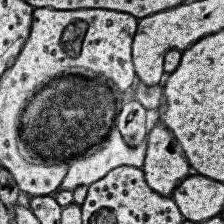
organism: Human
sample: Temporal Lobe